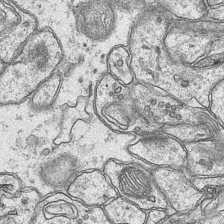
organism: Mouse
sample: CA1 Hippocampus